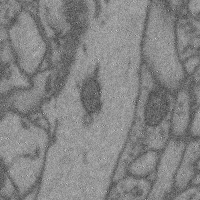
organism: Mouse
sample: Cerebral cortex